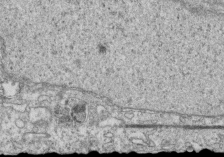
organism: Human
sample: HeLa cell HIV synapse